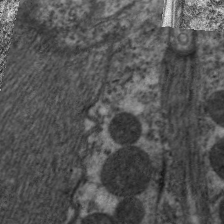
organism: C. elegans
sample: Pharynx